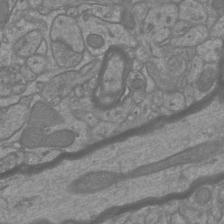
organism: Mouse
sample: Cortical neurons